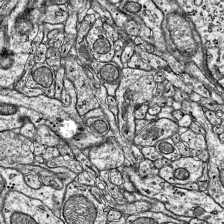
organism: Mouse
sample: Visual Cortex